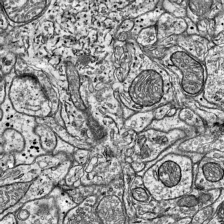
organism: Mouse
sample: Visual Cortex